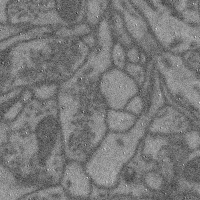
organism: Mouse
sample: Cerebral cortex